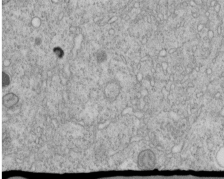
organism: C. elegans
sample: C. elegans embryo early stage